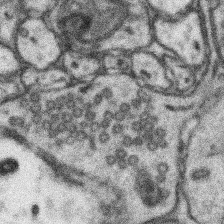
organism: Mouse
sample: Somatosensory cortex neuropil